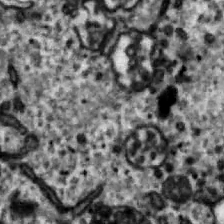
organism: Human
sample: HeLa cells